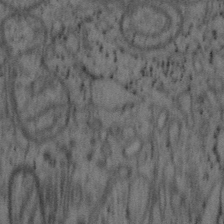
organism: Human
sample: HeLa cells